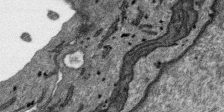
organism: Human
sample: Lung epithelial cells, uninfected (mock) control